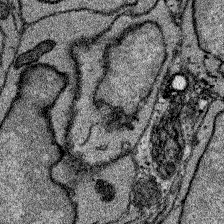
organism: Zebrafish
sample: Larval olfactory bulb